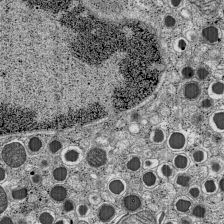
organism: C57BL Mouse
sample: Pancreatic islet